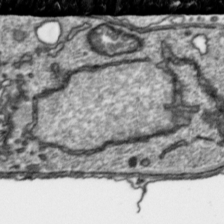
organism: Toxoplasma gondii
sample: Parasites in a vacuole inside a host cell